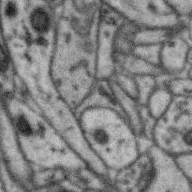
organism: Zebra finch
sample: Brain